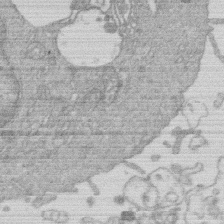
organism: Human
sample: Macrophage cells